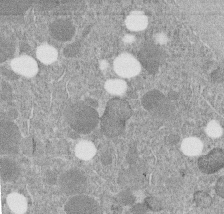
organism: C. elegans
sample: C. elegans embryo early stage